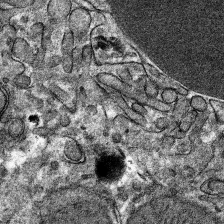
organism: Mouse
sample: Mouse hepatocytes